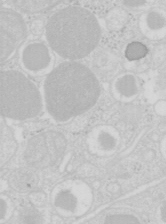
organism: Mouse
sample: Pancreas